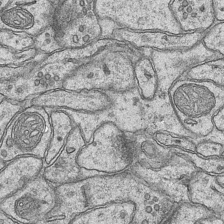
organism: Mouse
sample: CA1 Hippocampus